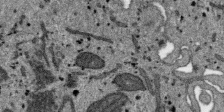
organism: Human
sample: Lung epithelial cells, uninfected (mock) control